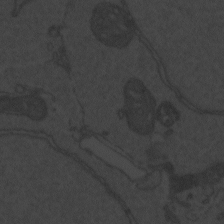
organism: Zebrafish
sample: Macrophage infected with Toxoplasma gondii